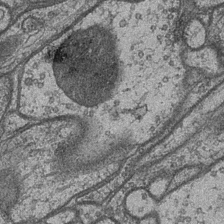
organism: Drosophila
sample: Optic medulla